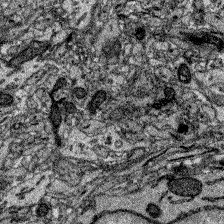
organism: Zebrafish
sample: Larval olfactory bulb